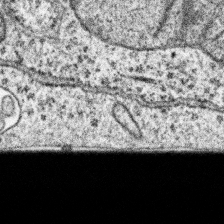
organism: Human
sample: HeLa cells